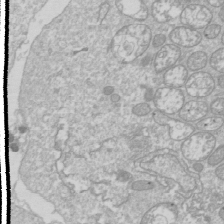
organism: Drosophila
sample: Cell division; meiosis; drosophila spermatocytes